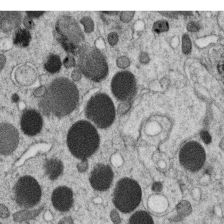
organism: C. elegans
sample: C. elegans oocyte; sperm cells